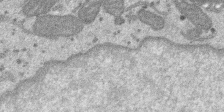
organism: Human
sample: Lung epithelial cells infected with SARS-CoV-2